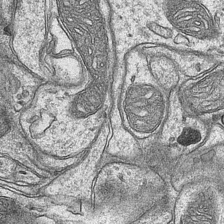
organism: Mouse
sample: CA1 Hippocampus